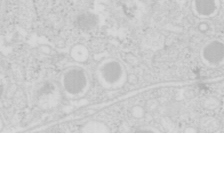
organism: Mouse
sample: Pancreas